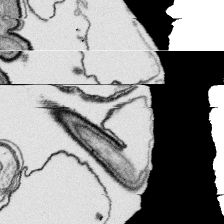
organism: Platynereis dumerilii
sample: Parapodia